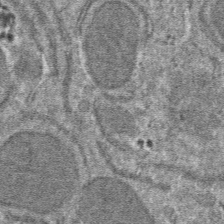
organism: Mouse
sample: Mouse hepatocytes